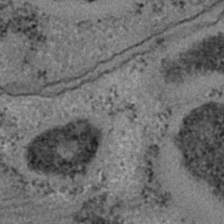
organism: C. elegans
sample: C. elegans embryo